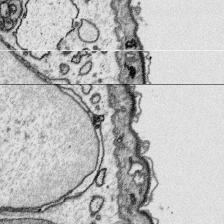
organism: Platynereis dumerilii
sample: Parapodia